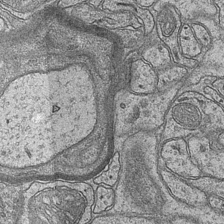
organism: Mouse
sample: CA1 Hippocampus